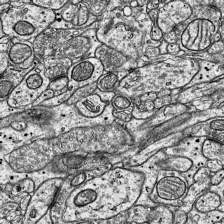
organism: Mouse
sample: Visual Cortex